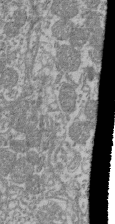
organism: Mouse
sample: Glomerulus